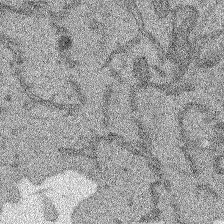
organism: Human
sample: HeLa cells